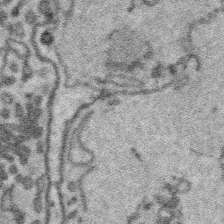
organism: Platynereis dumerilii